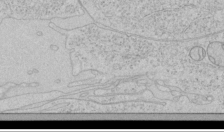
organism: Human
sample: Mitochondria in HCT116 cells